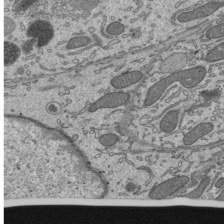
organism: Mouse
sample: Mouse epididymis efferent ductule cilia